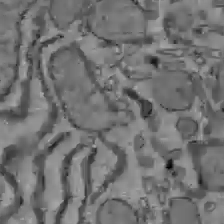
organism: C57BL Mouse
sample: Liver